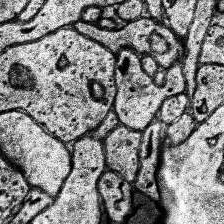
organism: Human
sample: Temporal Lobe